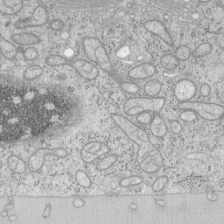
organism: Mouse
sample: OT-I killer T cells with ID8 ovarian cancer cells